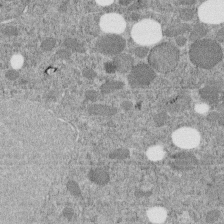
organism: C. elegans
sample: C. elegans embryo early stage